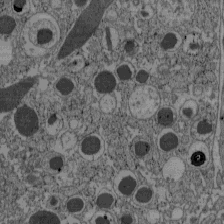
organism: C57BL Mouse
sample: Pancreatic islet